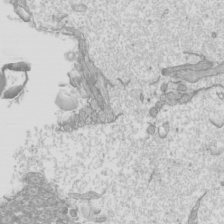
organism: Mouse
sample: Cilia; mouse epididymis